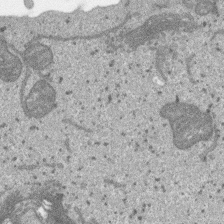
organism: Human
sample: Lung epithelial cells infected with SARS-CoV-2